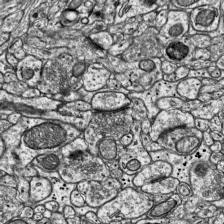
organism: Mouse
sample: Visual Cortex